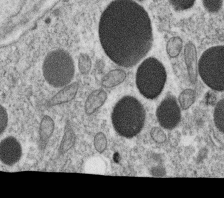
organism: C. elegans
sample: C. elegans oocyte; sperm cells